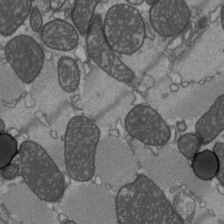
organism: C57BL Mouse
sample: Heart